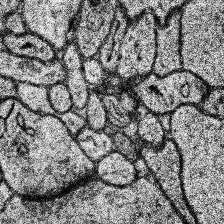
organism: Human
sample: Temporal Lobe